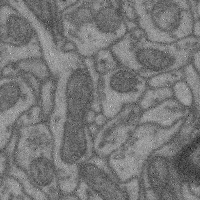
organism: Mouse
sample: Cerebral cortex